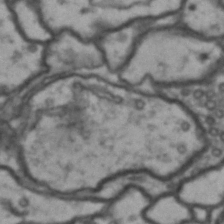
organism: Drosophila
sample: Brain